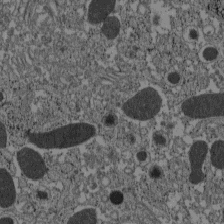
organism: C57BL Mouse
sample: Pancreatic islet